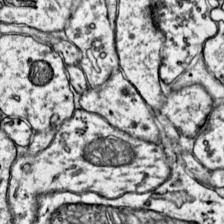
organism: Mouse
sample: Primary visual cortex